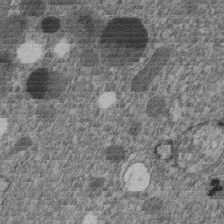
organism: C. elegans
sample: C. elegans embryo early stage